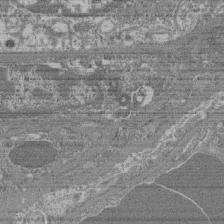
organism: Mouse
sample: Glomerulus